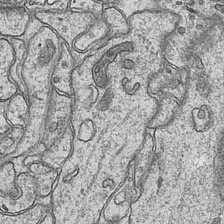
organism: Mouse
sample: CA1 Hippocampus